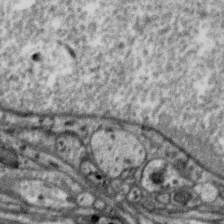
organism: Zebra finch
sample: Brain